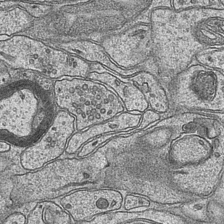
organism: Mouse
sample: CA1 Hippocampus